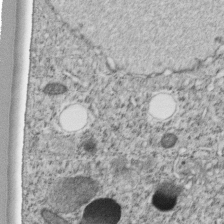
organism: C. elegans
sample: C. elegans embryo early stage